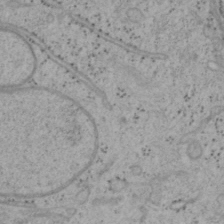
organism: Human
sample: HeLa cells